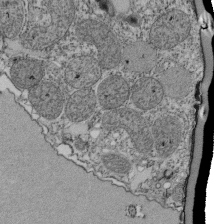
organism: Tetrahymena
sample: Cilia in tetrahymena